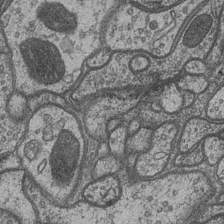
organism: Drosophila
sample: Optic medulla